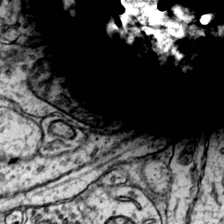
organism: Mouse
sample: Primary visual cortex